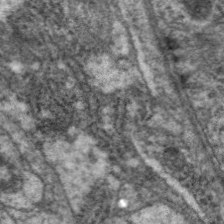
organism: C. elegans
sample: Pharynx